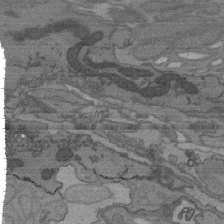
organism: C. elegans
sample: AFD neurons C. elegans